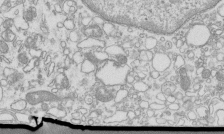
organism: Mouse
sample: Macrophages